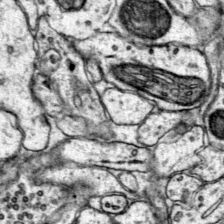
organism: Mouse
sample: Primary visual cortex